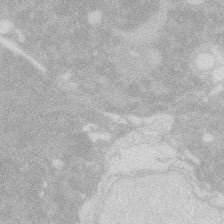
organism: Zebrafish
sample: Macrophage